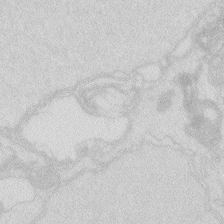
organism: Zebrafish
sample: Macrophage